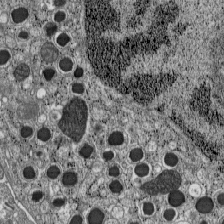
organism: C57BL Mouse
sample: Pancreatic islet